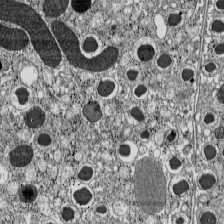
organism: C57BL Mouse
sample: Pancreatic islet